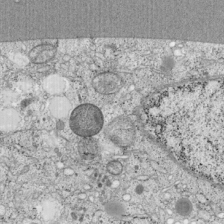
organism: African green monkey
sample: COS-7 cells